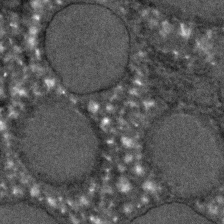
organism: C. elegans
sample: C. elegans embryo